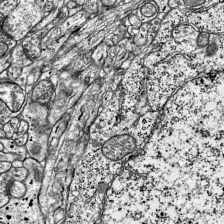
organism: Mouse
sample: Visual Cortex